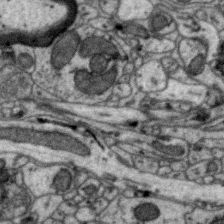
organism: Zebra finch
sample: Brain